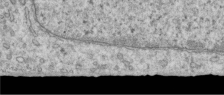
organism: Human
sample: Centriole in RPE cells